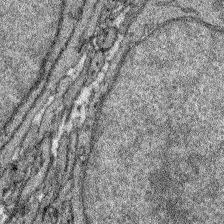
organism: Zebrafish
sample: Larval olfactory bulb